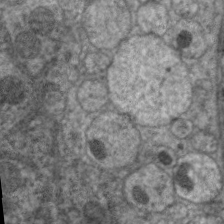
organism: C. elegans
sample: Pharynx